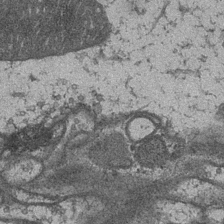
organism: Drosophila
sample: Optic medulla